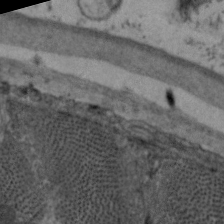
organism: C. elegans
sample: Pharynx